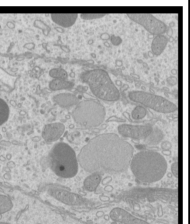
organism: Mouse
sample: Cilia; mouse epididymis